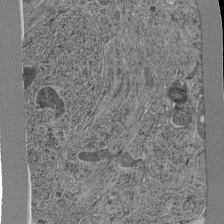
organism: C. elegans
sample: C. elegans pharynx